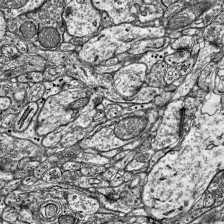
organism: Mouse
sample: Visual Cortex